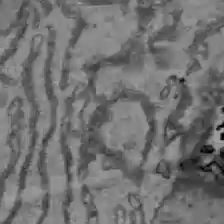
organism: C57BL Mouse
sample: Liver